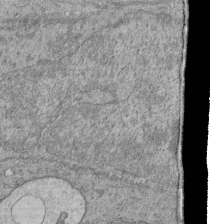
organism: Human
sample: Retinal organoid Rod and Cone cells